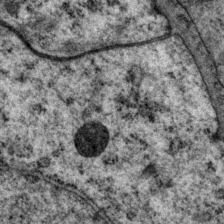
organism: P. pacificus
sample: Pharynx